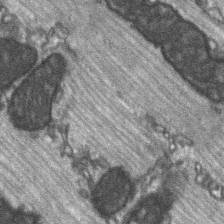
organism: C57BL Mouse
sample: Soleus